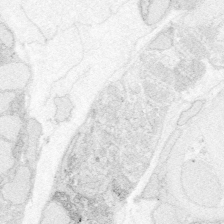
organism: Zebrafish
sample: Whole-Brain